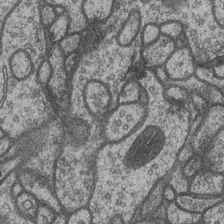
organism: Drosophila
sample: Optic medulla